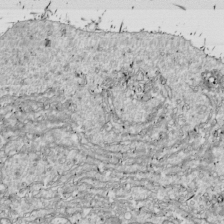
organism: Drosophila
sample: Cell division; meiosis; drosophila spermatocytes